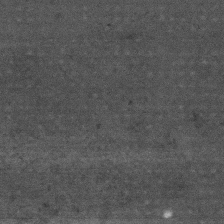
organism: Mouse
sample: Centriole in ependymal cells